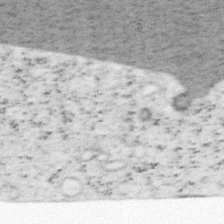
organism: Mouse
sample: OT-I killer T cells with ID8 ovarian cancer cells